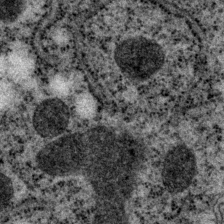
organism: P. pacificus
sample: Pharynx